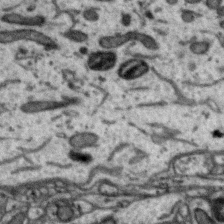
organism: Zebra finch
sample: Brain